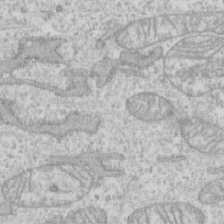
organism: Human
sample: CRL-1474